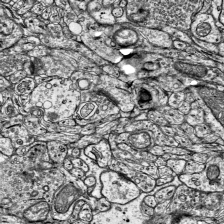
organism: Mouse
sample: Visual Cortex